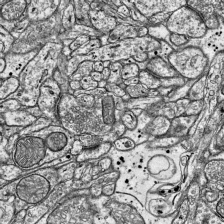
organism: Mouse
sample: Visual Cortex